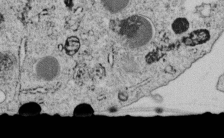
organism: C. elegans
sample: C. elegans embryo early stage